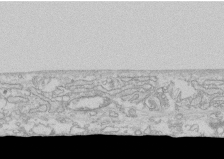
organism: Human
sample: CRL-1474